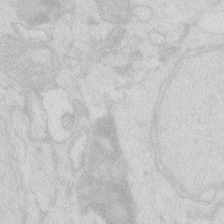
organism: Zebrafish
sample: Macrophage